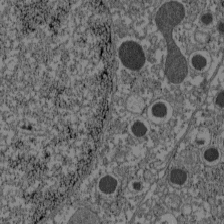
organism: C57BL Mouse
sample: Pancreatic islet